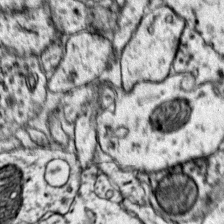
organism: Mouse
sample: Primary visual cortex